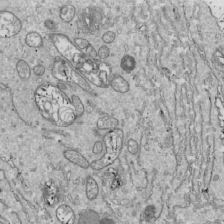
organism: Drosophila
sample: Cell division; meiosis; drosophila spermatocytes